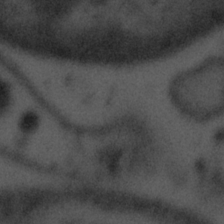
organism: Tuwongella immobilis